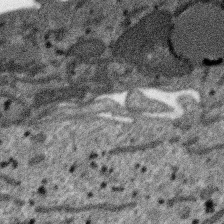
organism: Human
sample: Lung epithelial cells infected with SARS-CoV-2